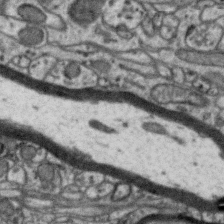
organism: Zebra finch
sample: Brain